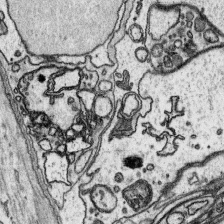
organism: Platynereis dumerilii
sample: Parapodia